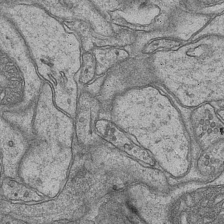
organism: Mouse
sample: CA1 Hippocampus